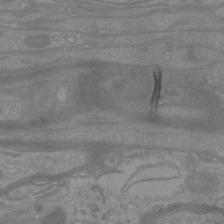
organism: Mouse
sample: Cortical neurons